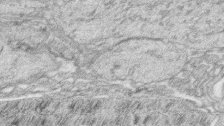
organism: Zebrafish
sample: synaptic ribbons in rod cells and cone cells